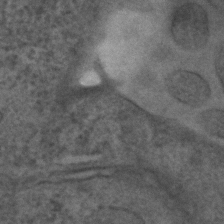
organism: C. elegans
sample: C. elegans embryo